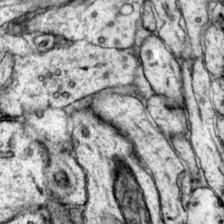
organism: Mouse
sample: Primary visual cortex